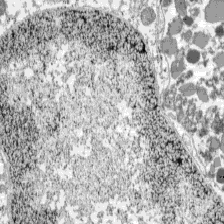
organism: C57BL Mouse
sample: Pancreatic islet